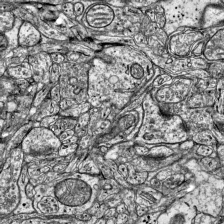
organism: Mouse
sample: Visual Cortex